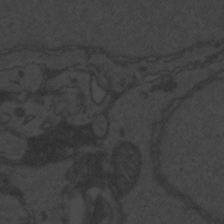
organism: Zebrafish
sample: Macrophage infected with Toxoplasma gondii